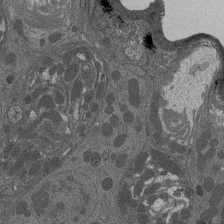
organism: Drosophila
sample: Antenna